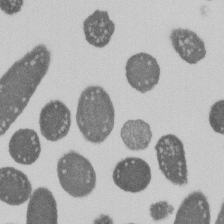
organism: E. coli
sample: Bacterial nucleoid